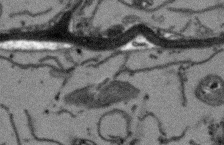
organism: Arabidopsis thaliana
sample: Root tip